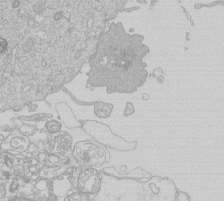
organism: Human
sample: Macrophage cells